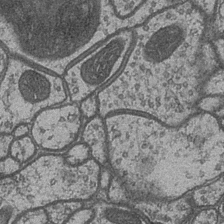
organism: Drosophila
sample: Optic medulla